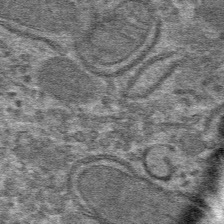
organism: Mouse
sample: Mouse hepatocytes